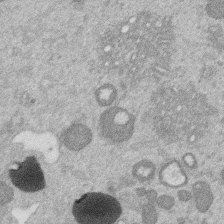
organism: Mouse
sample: Dividing mouse embryo 1 cell stage